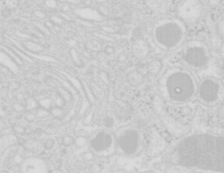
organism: Mouse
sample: Pancreas